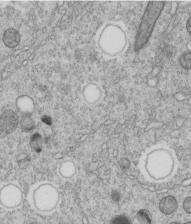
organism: C. elegans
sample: C. elegans embryo early stage